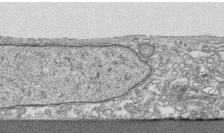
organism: Human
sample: CRL-1474